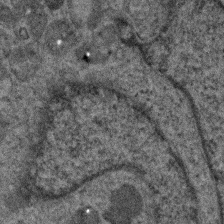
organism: Human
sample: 1205lu cells